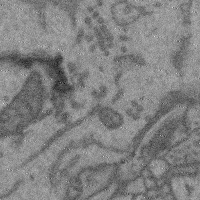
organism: Mouse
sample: Cerebral cortex